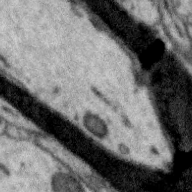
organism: Zebra finch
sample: Brain